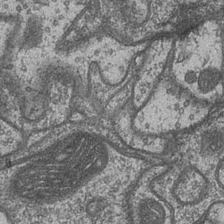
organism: Drosophila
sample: Optic medulla